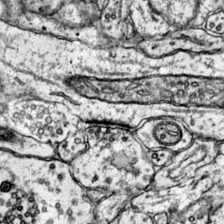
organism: Mouse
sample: Primary visual cortex